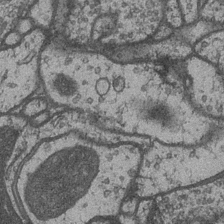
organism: Drosophila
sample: Optic medulla